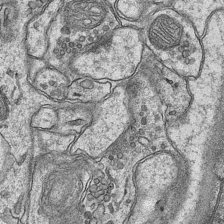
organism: Mouse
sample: CA1 Hippocampus